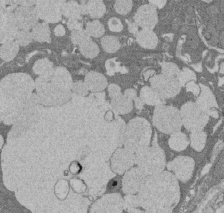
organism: Rat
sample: Salivary granule